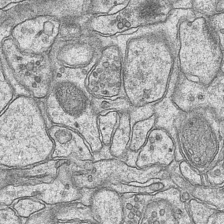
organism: Mouse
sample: CA1 Hippocampus